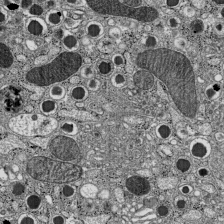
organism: C57BL Mouse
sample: Pancreatic islet